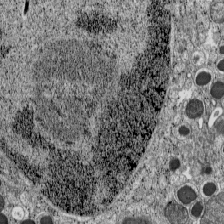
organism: C57BL Mouse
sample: Pancreatic islet